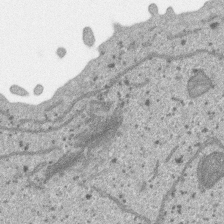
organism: Human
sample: Lung epithelial cells infected with SARS-CoV-2